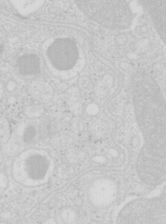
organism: Mouse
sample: Pancreas